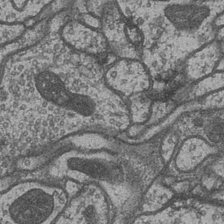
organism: Drosophila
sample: Optic medulla